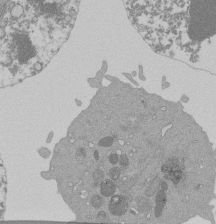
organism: Mouse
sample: Activated Pmel transgenic CD8+ T Cells